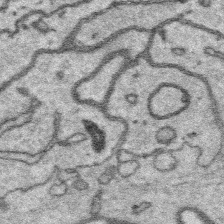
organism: Platynereis dumerilii